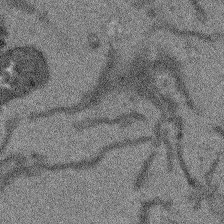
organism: Arabidopsis thaliana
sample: Root tip